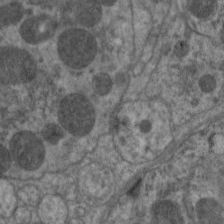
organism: C. elegans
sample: Pharynx